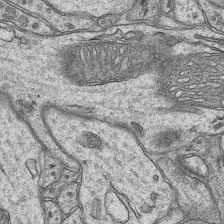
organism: Mouse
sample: CA1 Hippocampus